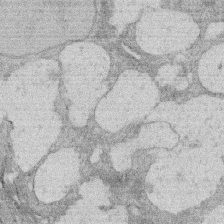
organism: Rat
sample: Salivary granule